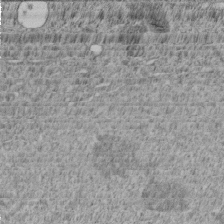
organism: C. elegans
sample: C. elegans embryo early stage